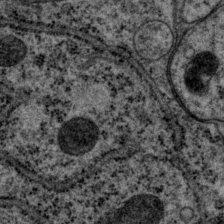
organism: P. pacificus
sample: Pharynx